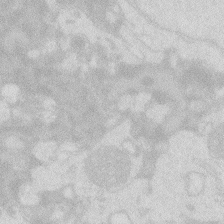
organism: Zebrafish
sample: Macrophage